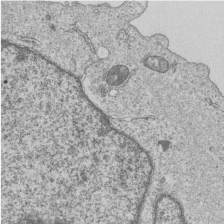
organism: Human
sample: MDA-MB-231 cells